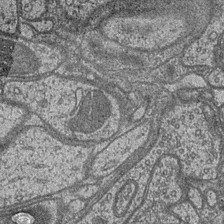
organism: Drosophila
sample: Optic medulla